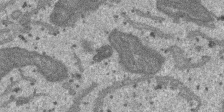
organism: Human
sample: Lung epithelial cells infected with SARS-CoV-2